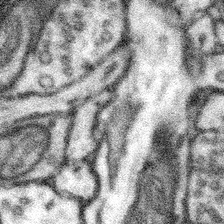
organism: Mouse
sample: Somatosensory cortex neuropil